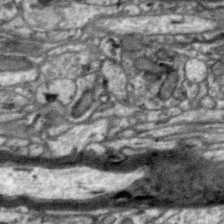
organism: Zebra finch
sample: Brain